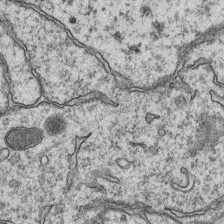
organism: Mouse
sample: CA1 Hippocampus